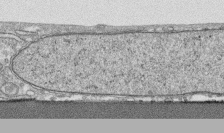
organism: Human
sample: CRL-1474